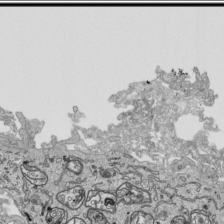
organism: Human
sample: Mitochondria in HCT116 cells